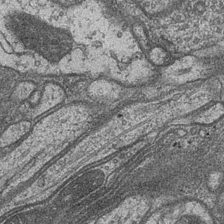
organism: Drosophila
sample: Optic medulla